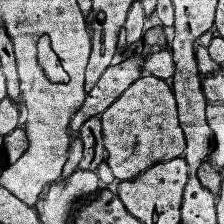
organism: Human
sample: Temporal Lobe